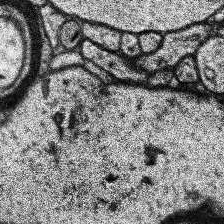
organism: Human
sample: Temporal Lobe